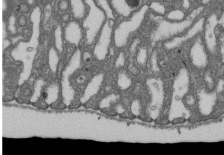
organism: Drosophila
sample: Nephrocyte